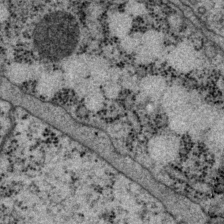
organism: P. pacificus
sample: Pharynx